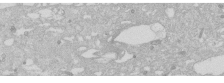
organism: Human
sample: Caco-2 cells